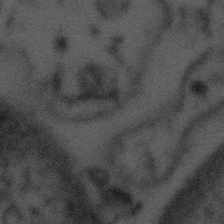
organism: Tuwongella immobilis